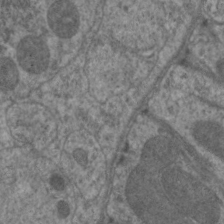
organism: C. elegans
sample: Pharynx